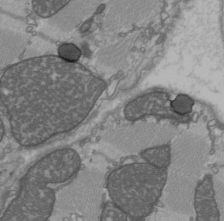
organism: C57BL Mouse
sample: Heart